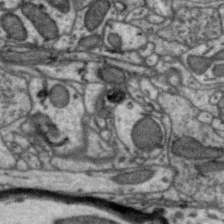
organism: Zebra finch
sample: Brain